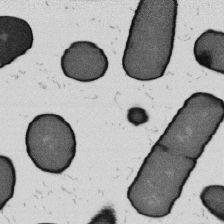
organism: B. subtilis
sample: Bacterial spore